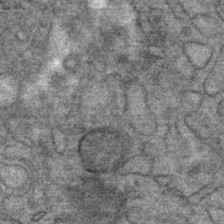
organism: Mouse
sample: Mouse Salivary gland